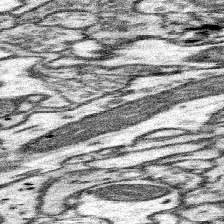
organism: Mouse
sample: Somatosensory cortex neuropil